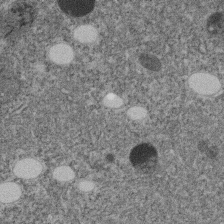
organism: C. elegans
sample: C. elegans embryo early stage